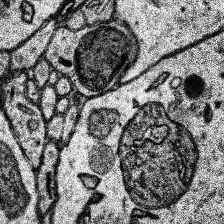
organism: Human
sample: Temporal Lobe